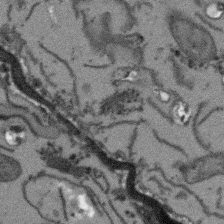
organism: Arabidopsis thaliana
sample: Root tip